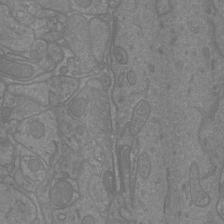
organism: Mouse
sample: Cortical neurons